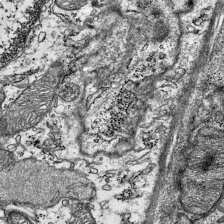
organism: Mouse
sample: Visual Cortex